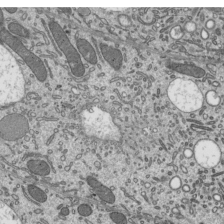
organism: Mouse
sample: Mouse epididymis efferent ductule cilia